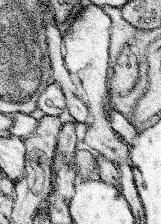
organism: Mouse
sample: Somatosensory cortex neuropil